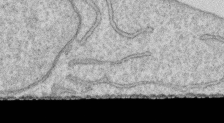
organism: Human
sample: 1205lu cells